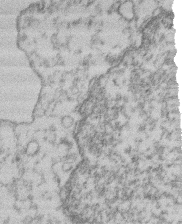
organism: Mouse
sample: T cell stromal cell synapse